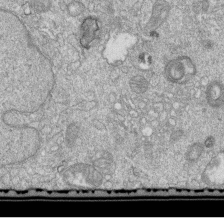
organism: Human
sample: HeLa cell HIV synapse